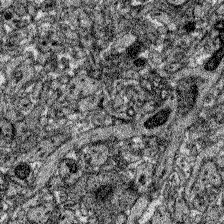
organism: Zebrafish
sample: Larval olfactory bulb